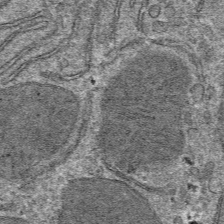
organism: Mouse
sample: Mouse hepatocytes